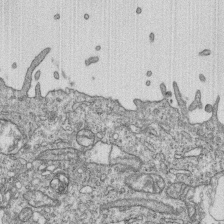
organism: Human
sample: HeLa cell HIV synapse